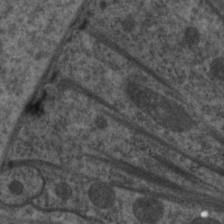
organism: C. elegans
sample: Pharynx